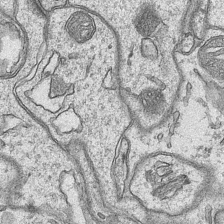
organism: Mouse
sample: CA1 Hippocampus